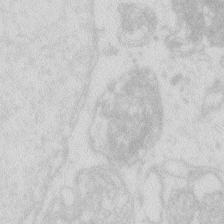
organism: Zebrafish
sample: Macrophage